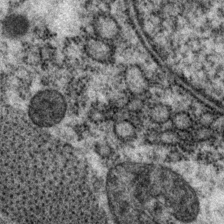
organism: P. pacificus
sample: Pharynx